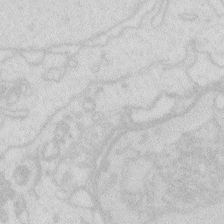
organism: Zebrafish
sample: Macrophage